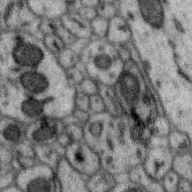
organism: Zebra finch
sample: Brain